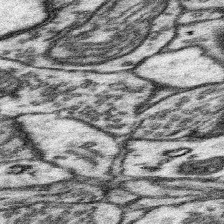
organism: Mouse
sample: Somatosensory cortex neuropil